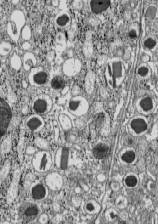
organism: C57BL Mouse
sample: Pancreatic islet